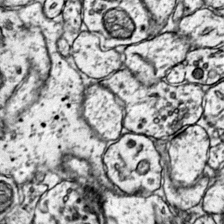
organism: Mouse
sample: Primary visual cortex